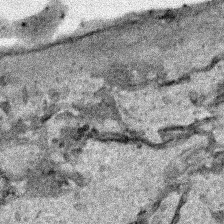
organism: Human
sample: Mitochondria in HCT116 cells